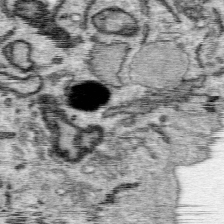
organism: Human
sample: HeLa cells